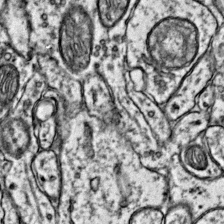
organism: Mouse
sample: Primary visual cortex